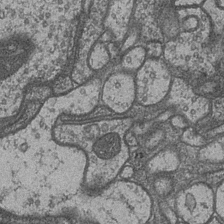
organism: Drosophila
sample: Optic medulla